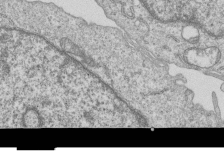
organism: Human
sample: MDA-MB-231 cells